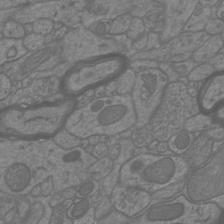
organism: Mouse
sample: Cortical neurons